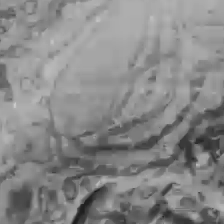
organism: C57BL Mouse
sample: Liver